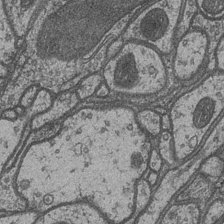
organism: Drosophila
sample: Optic medulla